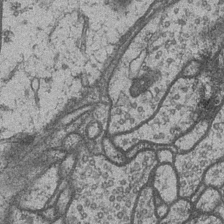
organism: Drosophila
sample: Optic medulla